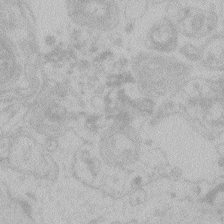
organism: Zebrafish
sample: Macrophage infected with Toxoplasma gondii